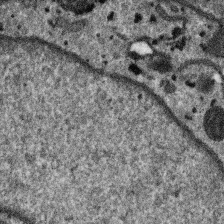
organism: Human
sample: Lung epithelial cells infected with SARS-CoV-2